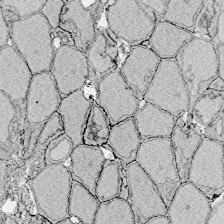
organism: Zebrafish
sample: Whole-Brain